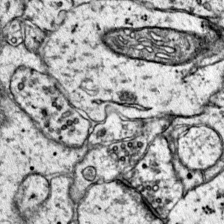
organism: Mouse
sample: Primary visual cortex